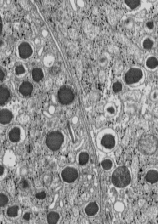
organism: C57BL Mouse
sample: Pancreatic islet